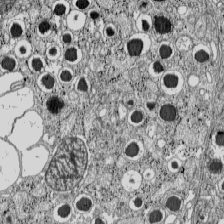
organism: C57BL Mouse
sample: Pancreatic islet